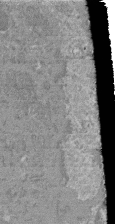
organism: Mouse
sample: Glomerulus